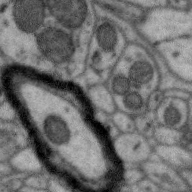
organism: Zebra finch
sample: Brain